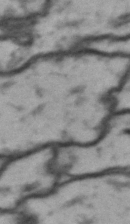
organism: Drosophila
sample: Brain